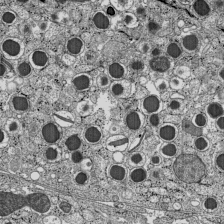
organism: C57BL Mouse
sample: Pancreatic islet